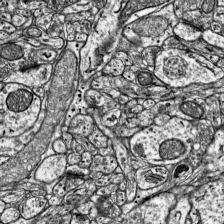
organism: Mouse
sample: Visual Cortex